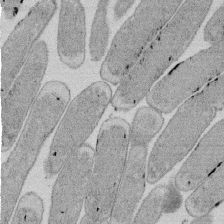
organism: E. coli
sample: Bacterial nucleoid